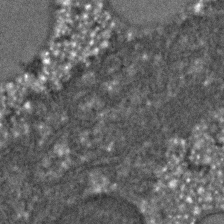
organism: C. elegans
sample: C. elegans embryo